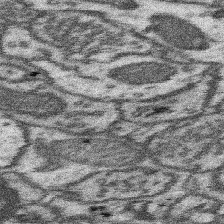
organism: Mouse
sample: Somatosensory cortex neuropil